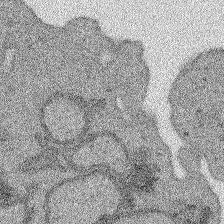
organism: Human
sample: HeLa cells